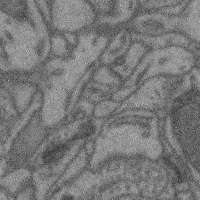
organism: Mouse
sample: Cerebral cortex